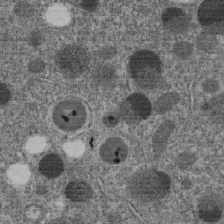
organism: C. elegans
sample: C. elegans embryo early stage